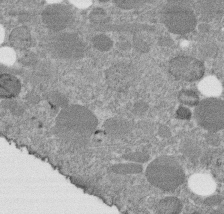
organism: C. elegans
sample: C. elegans embryo early stage